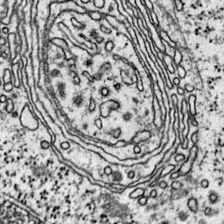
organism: Mouse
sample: Primary visual cortex